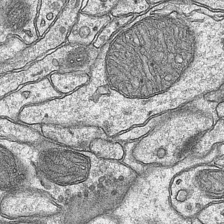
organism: Mouse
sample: CA1 Hippocampus